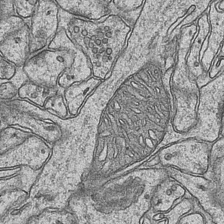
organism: Mouse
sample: CA1 Hippocampus